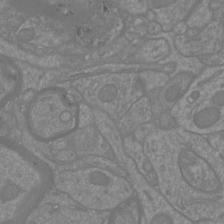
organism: Mouse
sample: Cortical neurons